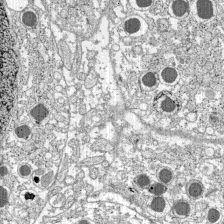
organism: C57BL Mouse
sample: Pancreatic islet